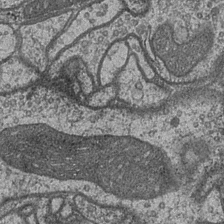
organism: Drosophila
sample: Optic medulla